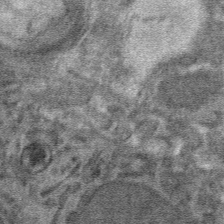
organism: Mouse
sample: Mouse hepatocytes